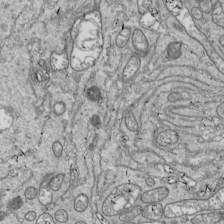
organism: Drosophila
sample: Cell division; meiosis; drosophila spermatocytes